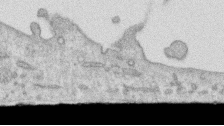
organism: Human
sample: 1205lu cells